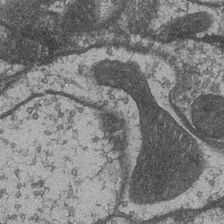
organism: Drosophila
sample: Optic medulla